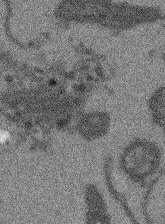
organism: Arabidopsis thaliana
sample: Root tip